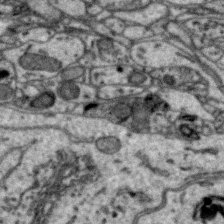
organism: Zebra finch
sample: Brain